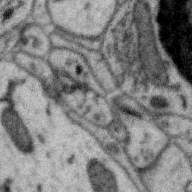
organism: Zebra finch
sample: Brain